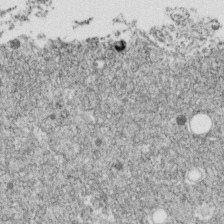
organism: C. elegans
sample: C. elegans embryo early stage